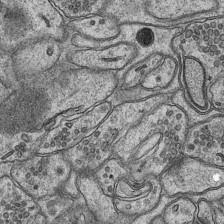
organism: Mouse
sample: CA1 Hippocampus